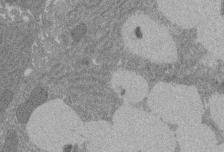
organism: Rat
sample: Salivary granule